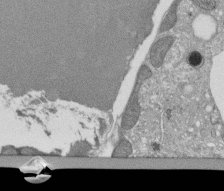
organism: Tetrahymena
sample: Cilia in tetrahymena